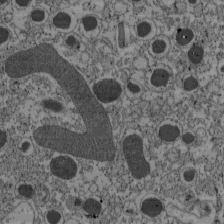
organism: C57BL Mouse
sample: Pancreatic islet